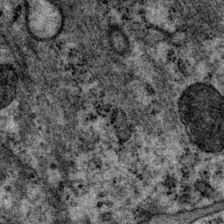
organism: P. pacificus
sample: Pharynx